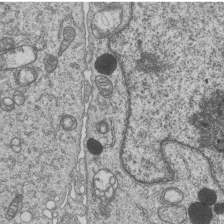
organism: Human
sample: MDA-MB-231 cells